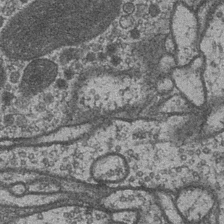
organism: Drosophila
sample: Optic medulla